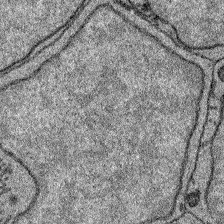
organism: Zebrafish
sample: Larval olfactory bulb